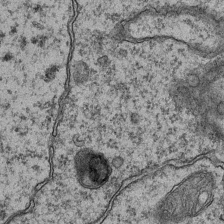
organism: Mouse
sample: CA1 Hippocampus